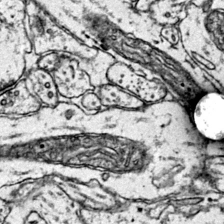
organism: Mouse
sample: Primary visual cortex